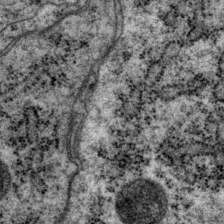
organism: P. pacificus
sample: Pharynx